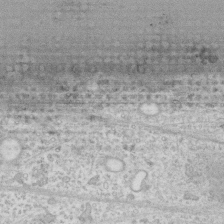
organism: Human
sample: Fibroblast cells